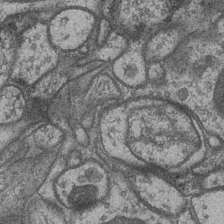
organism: Drosophila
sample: Optic medulla